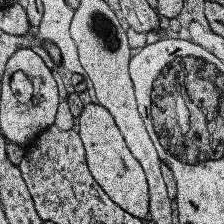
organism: Human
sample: Temporal Lobe